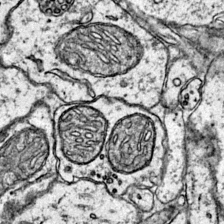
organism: Mouse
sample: Primary visual cortex